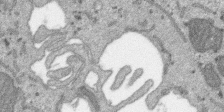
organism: Human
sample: Lung epithelial cells infected with SARS-CoV-2